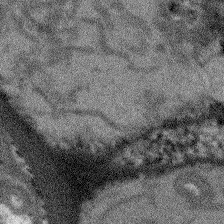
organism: Arabidopsis thaliana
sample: Root tip